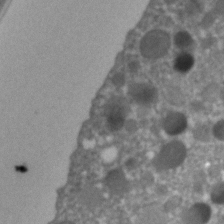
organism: C. elegans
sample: C. elegans embryo